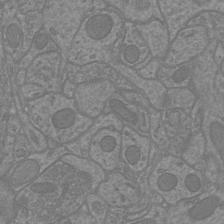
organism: Mouse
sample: Cortical neurons